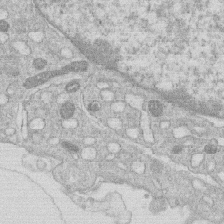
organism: Human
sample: Macrophage cells